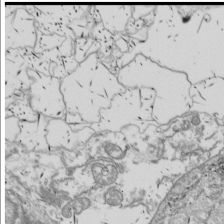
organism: Drosophila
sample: Cell division; meiosis; drosophila spermatocytes